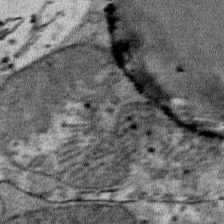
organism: Mouse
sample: Mouse Salivary gland